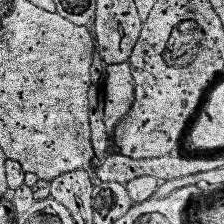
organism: Human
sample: Temporal Lobe